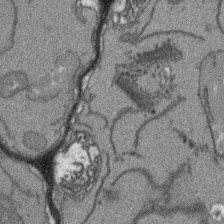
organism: Arabidopsis thaliana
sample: Root tip